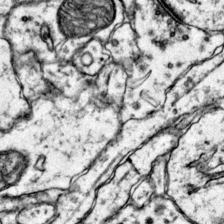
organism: Mouse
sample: Primary visual cortex